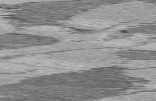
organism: C57BL Mouse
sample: Heart